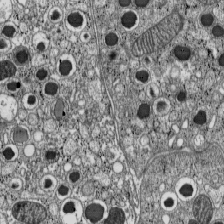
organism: C57BL Mouse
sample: Pancreatic islet